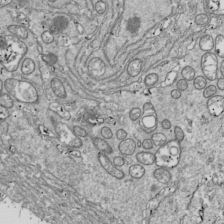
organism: Drosophila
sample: Cell division; meiosis; drosophila spermatocytes